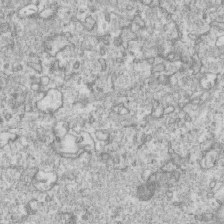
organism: Mouse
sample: Activated OT-1 CD8+ T cells